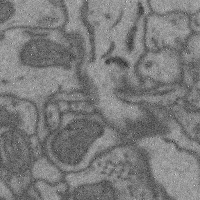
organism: Mouse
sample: Cerebral cortex